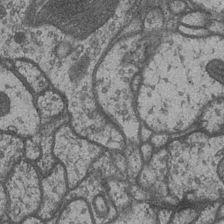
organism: Drosophila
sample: Optic medulla